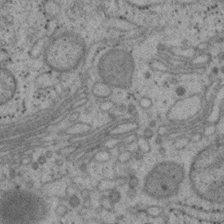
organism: Human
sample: HeLa cells